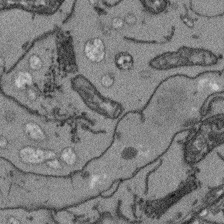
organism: Arabidopsis thaliana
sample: Root tip